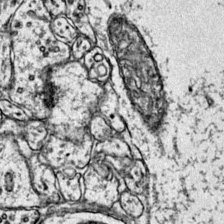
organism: Mouse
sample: Primary visual cortex